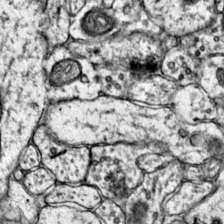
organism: Mouse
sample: Primary visual cortex